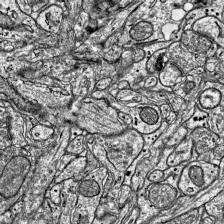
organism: Mouse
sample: Visual Cortex